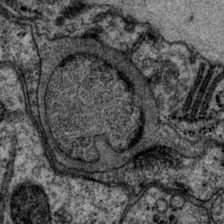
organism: P. pacificus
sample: Pharynx